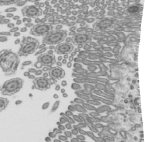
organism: Mouse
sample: Mouse epididymis efferent ductule cilia